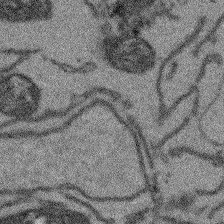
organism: Arabidopsis thaliana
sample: Root tip